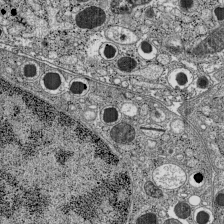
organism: C57BL Mouse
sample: Pancreatic islet